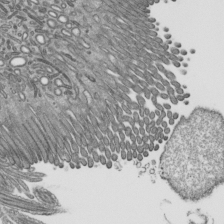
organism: Mouse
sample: Mouse epididymis efferent ductule cilia